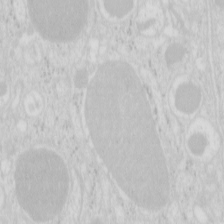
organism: Mouse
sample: Pancreas